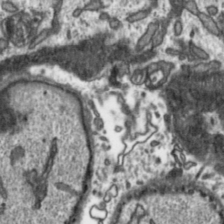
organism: Toxoplasma gondii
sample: Parasites in a vacuole inside a host cell